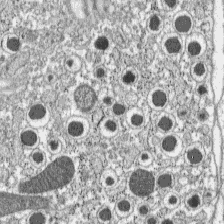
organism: C57BL Mouse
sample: Pancreatic islet